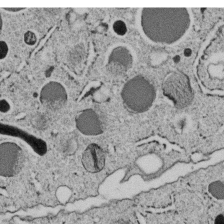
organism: C. elegans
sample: C. elegans embryo early stage